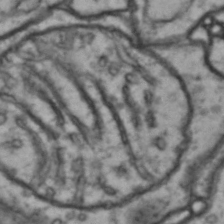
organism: Drosophila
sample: Brain